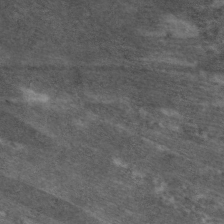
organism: C. elegans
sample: Pharynx